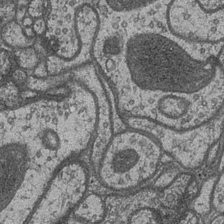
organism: Drosophila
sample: Optic medulla